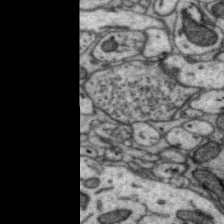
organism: Zebra finch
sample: Brain